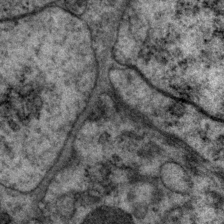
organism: P. pacificus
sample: Pharynx